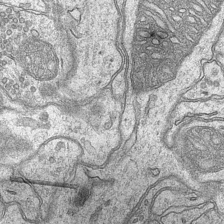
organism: Mouse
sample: CA1 Hippocampus